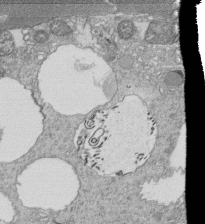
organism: Tetrahymena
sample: Cilia in tetrahymena